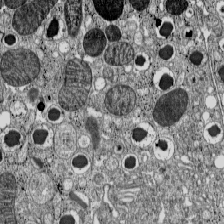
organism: C57BL Mouse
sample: Pancreatic islet